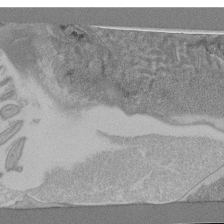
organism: C. elegans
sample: C. elegans pharynx